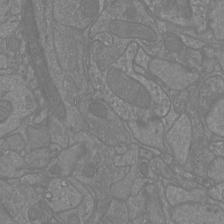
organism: Mouse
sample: Cortical neurons